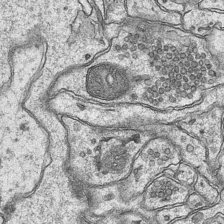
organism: Mouse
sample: CA1 Hippocampus